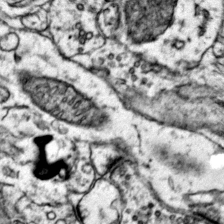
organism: Mouse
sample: Primary visual cortex